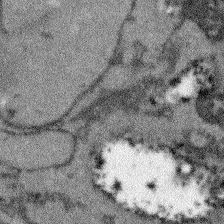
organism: Arabidopsis thaliana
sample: Root tip